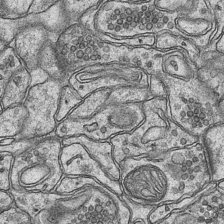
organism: Mouse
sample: CA1 Hippocampus